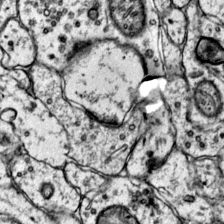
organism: Mouse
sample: Primary visual cortex